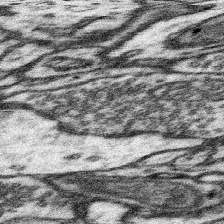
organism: Mouse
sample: Somatosensory cortex neuropil